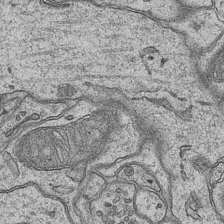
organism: Mouse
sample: CA1 Hippocampus